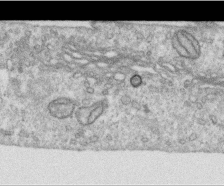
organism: Human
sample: Centriole in RPE cells